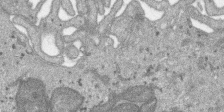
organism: Human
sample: Lung epithelial cells infected with SARS-CoV-2